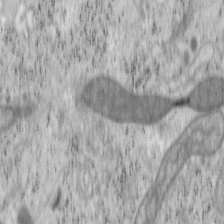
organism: Human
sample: HeLa cells